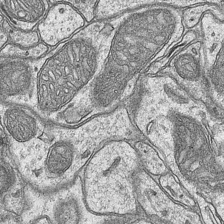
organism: Mouse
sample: CA1 Hippocampus